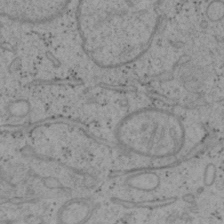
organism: Human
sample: HeLa cells